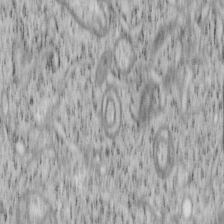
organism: Human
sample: HeLa cells